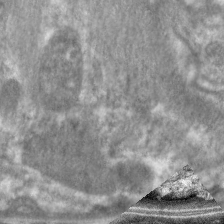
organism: C. elegans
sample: Pharynx